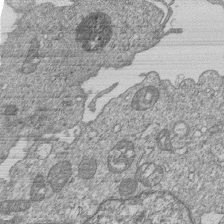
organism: Human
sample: MDA-MB-231 cells